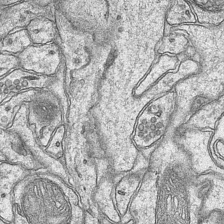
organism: Mouse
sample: CA1 Hippocampus